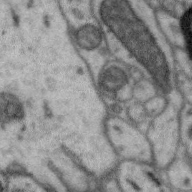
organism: Zebra finch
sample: Brain